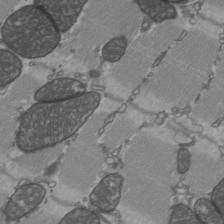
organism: C57BL Mouse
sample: Heart